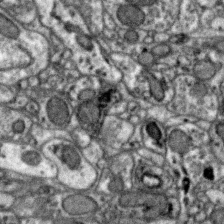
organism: Zebra finch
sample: Brain